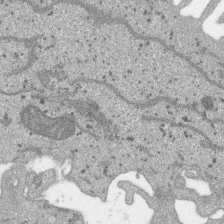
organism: Human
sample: Lung epithelial cells infected with SARS-CoV-2